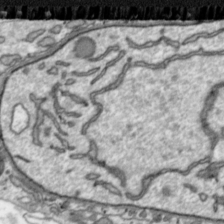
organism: Toxoplasma gondii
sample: Parasites in a vacuole inside a host cell